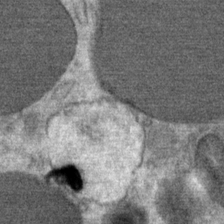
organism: Mouse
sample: Mouse Salivary gland